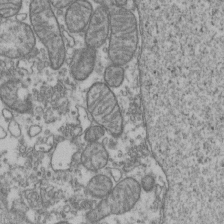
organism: Human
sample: Activated Jurkat CD4+ T cells